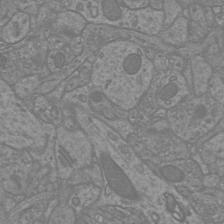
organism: Mouse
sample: Cortical neurons